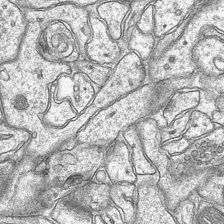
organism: Mouse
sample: CA1 Hippocampus